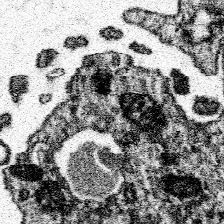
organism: Spongilla lacustris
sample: Neuroid cell